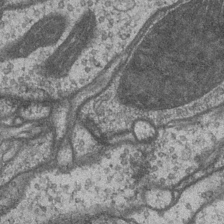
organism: Drosophila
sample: Optic medulla